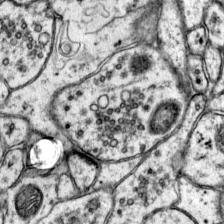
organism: Mouse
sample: Primary visual cortex